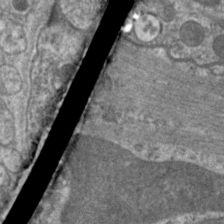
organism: C. elegans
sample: Pharynx